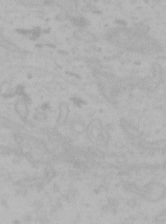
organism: Mouse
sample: Choroid plexus